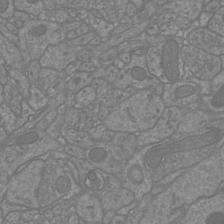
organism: Mouse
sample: Cortical neurons